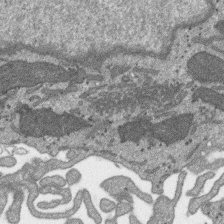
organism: Human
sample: Lung epithelial cells infected with SARS-CoV-2